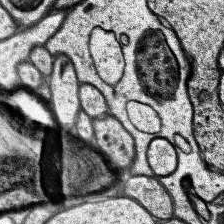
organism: Human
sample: Temporal Lobe